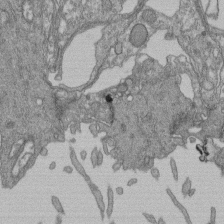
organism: Human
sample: Retinal organoid Rod and Cone cells